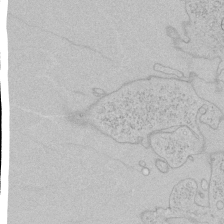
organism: Human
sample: Mitochondria in HCT116 cells